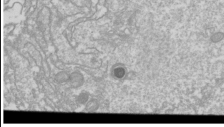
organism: Drosophila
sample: Cell division; meiosis; drosophila spermatocytes